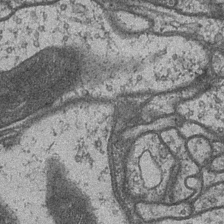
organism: Drosophila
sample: Optic medulla